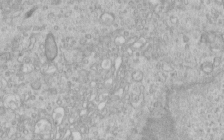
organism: Human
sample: Centriole in RPE cells